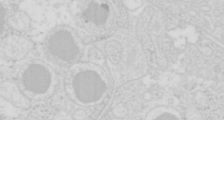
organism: Mouse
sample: Pancreas